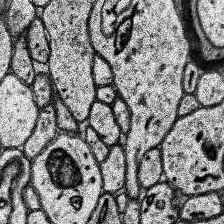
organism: Human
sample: Temporal Lobe